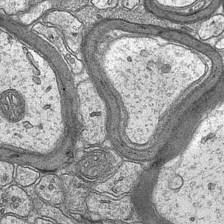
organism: Mouse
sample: CA1 Hippocampus